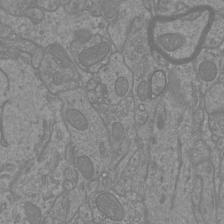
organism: Mouse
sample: Cortical neurons